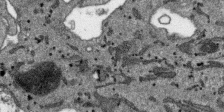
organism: Human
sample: Lung epithelial cells, uninfected (mock) control